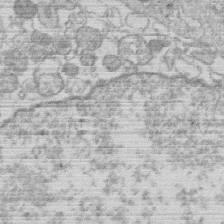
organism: Human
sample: Macrophage cells